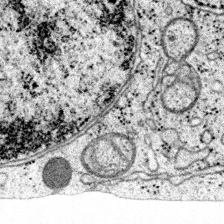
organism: Human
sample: HeLa cells